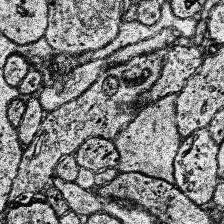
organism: Human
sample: Temporal Lobe